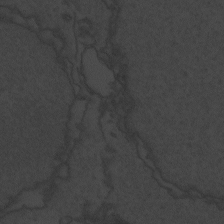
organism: Zebrafish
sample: Macrophage infected with Toxoplasma gondii